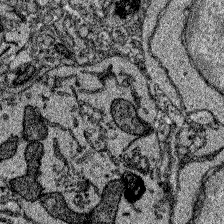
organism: Zebrafish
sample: Larval olfactory bulb